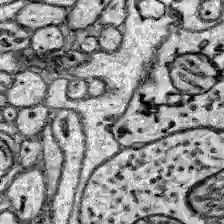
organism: Zebrafish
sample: Brain